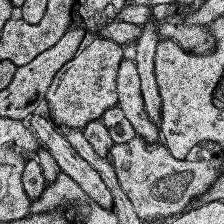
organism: Human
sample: Temporal Lobe